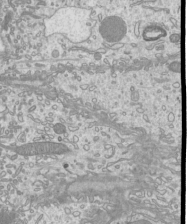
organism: Mouse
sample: Cilia; mouse epididymis